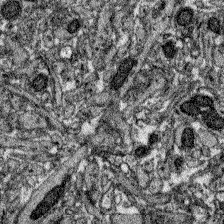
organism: Zebrafish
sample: Larval olfactory bulb